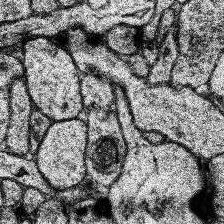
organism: Human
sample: Temporal Lobe